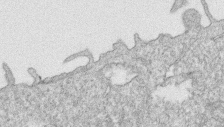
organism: Human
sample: HeLa cell HIV synapse